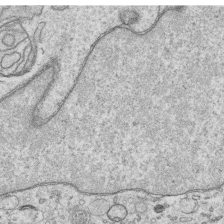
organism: Human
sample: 1205lu cells